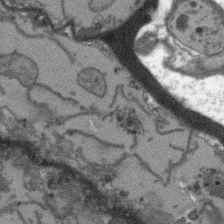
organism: Arabidopsis thaliana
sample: Root tip